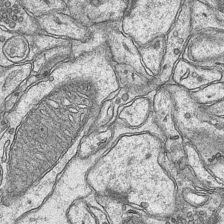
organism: Mouse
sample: CA1 Hippocampus